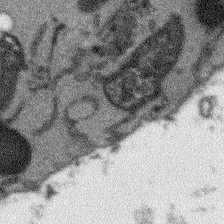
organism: Arabidopsis thaliana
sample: Root tip